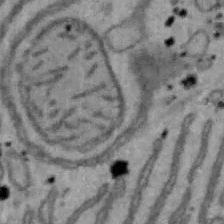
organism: Mouse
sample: Liver